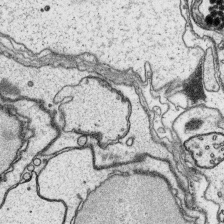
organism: Platynereis dumerilii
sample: Parapodia